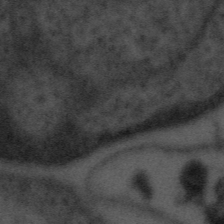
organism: Tuwongella immobilis